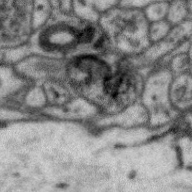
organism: Zebra finch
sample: Brain